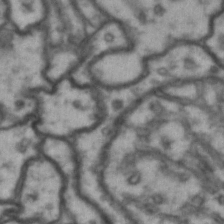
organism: Drosophila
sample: Brain